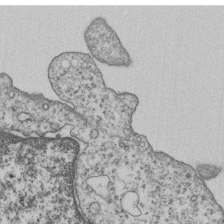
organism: Human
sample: MDA-MB-231 cells